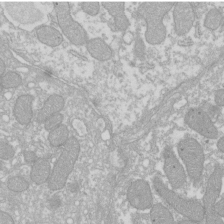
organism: Xenopus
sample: Cilia; centrioles in frog embryo cells